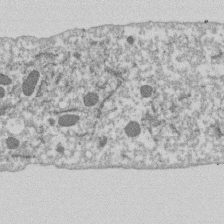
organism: Dictyostelium discoideum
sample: Dictyostelium multivesicular bodies